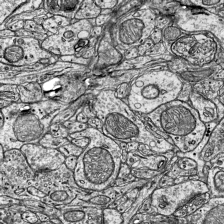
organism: Mouse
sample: Visual Cortex